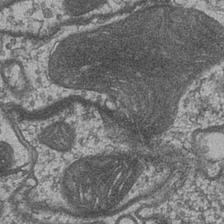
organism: Drosophila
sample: Optic medulla